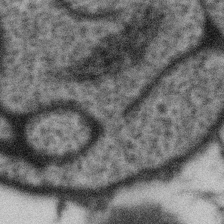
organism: Gemmata obscuriglobus